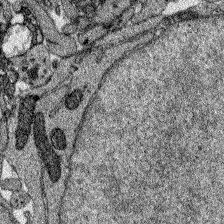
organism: Zebrafish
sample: Larval olfactory bulb